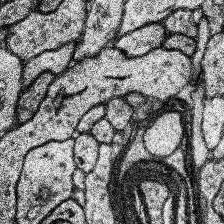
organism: Human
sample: Temporal Lobe